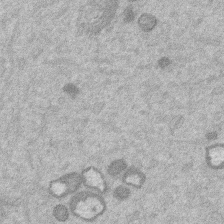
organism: Mouse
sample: Dividing mouse embryo 1 cell stage